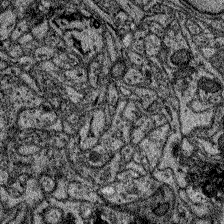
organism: Zebrafish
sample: Larval olfactory bulb